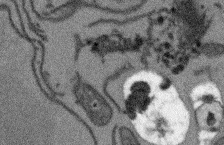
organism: Arabidopsis thaliana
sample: Root tip